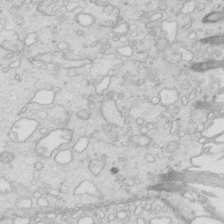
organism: Mouse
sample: Multiciliated cells